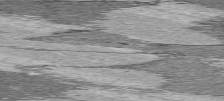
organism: C57BL Mouse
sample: Heart